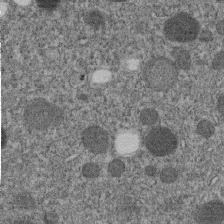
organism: C. elegans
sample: C. elegans embryo early stage